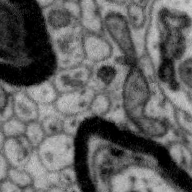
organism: Zebra finch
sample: Brain